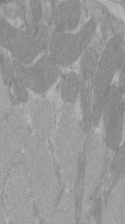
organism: C57BL Mouse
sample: Tibialis anterior muscle cell